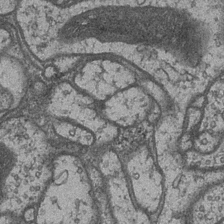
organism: Drosophila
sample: Optic medulla